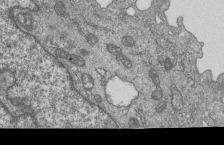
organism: Human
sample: MDA-MB-231 cells